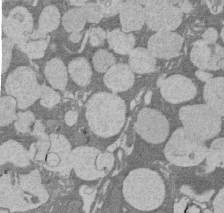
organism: Rat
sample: Salivary granule